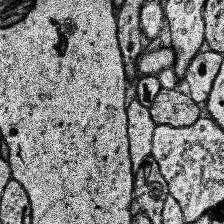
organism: Human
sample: Temporal Lobe